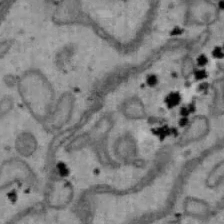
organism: Mouse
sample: Liver